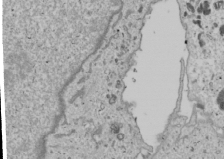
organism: Human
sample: Mitochondria in U2OS cells